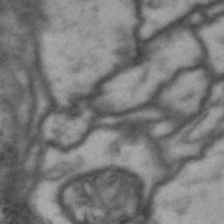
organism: Drosophila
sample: Brain